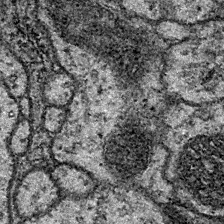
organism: Drosophila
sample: Ventral Nerve Cord